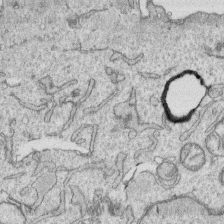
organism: Human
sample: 1205lu cells